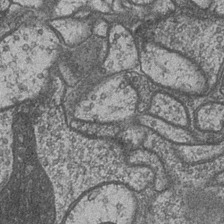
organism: Drosophila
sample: Optic medulla